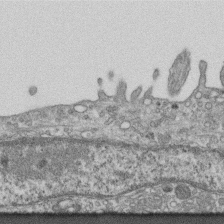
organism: Mouse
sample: Centriole in ependymal cells